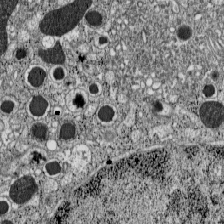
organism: C57BL Mouse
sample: Pancreatic islet